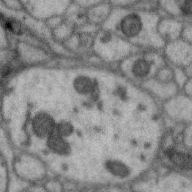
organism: Zebra finch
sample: Brain